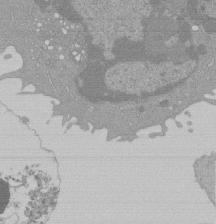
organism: Mouse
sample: Activated Pmel transgenic CD8+ T Cells